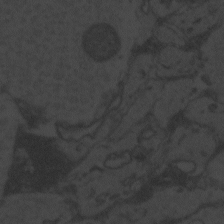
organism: Zebrafish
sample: Macrophage infected with Toxoplasma gondii